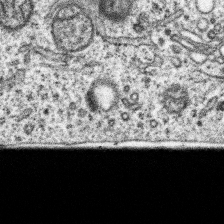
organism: Human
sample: HeLa cells